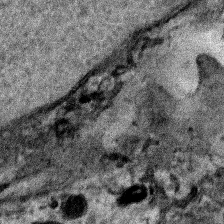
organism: Human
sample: Mitochondria in HCT116 cells